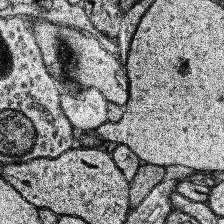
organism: Human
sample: Temporal Lobe